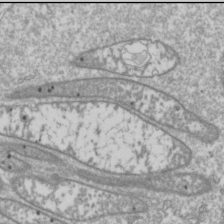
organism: Drosophila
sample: Cell division; meiosis; drosophila spermatocytes